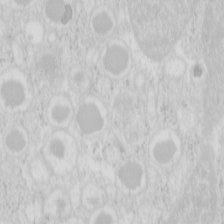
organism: Mouse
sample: Pancreas